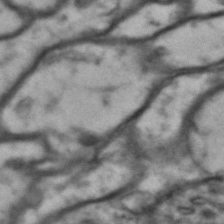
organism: Drosophila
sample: Brain